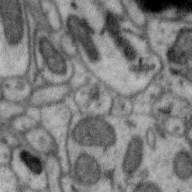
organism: Zebra finch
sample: Brain